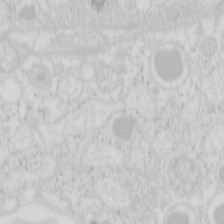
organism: Mouse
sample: Pancreas